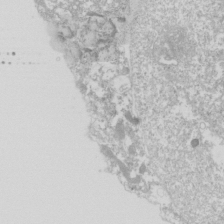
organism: Drosophila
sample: Cell division; meiosis; drosophila spermatocytes